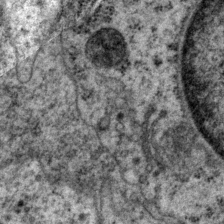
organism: P. pacificus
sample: Pharynx